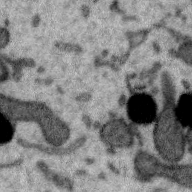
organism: Zebra finch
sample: Brain